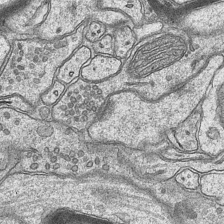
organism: Mouse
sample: CA1 Hippocampus